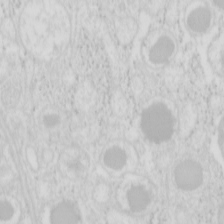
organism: Mouse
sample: Pancreas